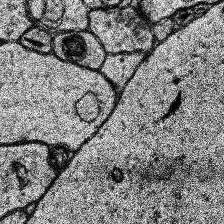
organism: Human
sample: Temporal Lobe